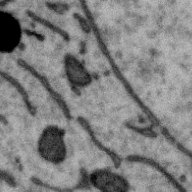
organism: Zebra finch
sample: Brain